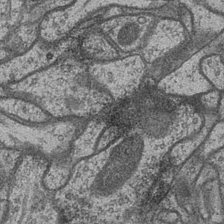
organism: Drosophila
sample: Optic medulla